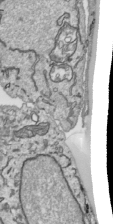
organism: Human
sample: Mitochondria in HCT116 cells